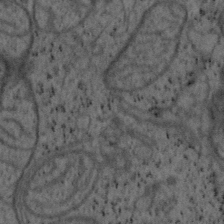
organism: Human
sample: HeLa cells